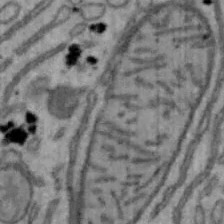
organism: Mouse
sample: Liver